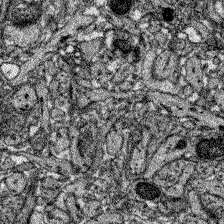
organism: Zebrafish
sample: Larval olfactory bulb